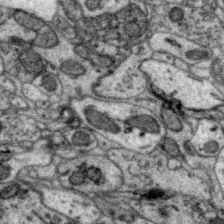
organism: Zebra finch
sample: Brain